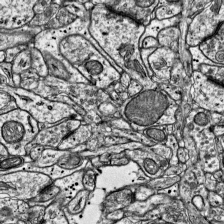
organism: Mouse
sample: Visual Cortex